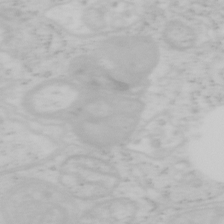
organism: Mouse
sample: OT-I killer T cells with ID8 ovarian cancer cells